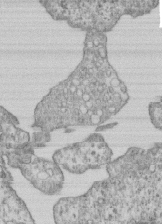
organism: Human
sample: MDA-MB-231 cells